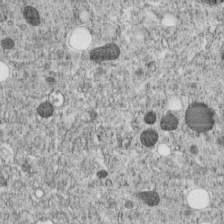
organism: C. elegans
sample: C. elegans embryo early stage